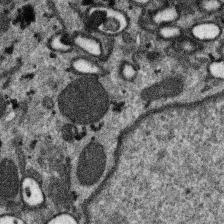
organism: Human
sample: Lung epithelial cells infected with SARS-CoV-2